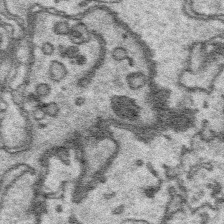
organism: Platynereis dumerilii